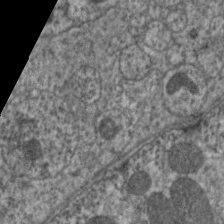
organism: C. elegans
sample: Pharynx